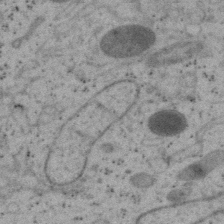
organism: Human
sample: HeLa cells